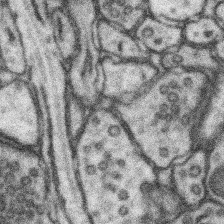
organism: Mouse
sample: Somatosensory cortex neuropil